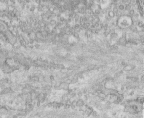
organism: Human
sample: Centriole in fibroblast cells